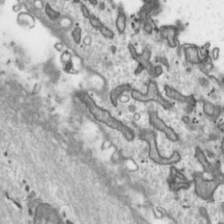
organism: Toxoplasma gondii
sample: Parasites in a vacuole inside a host cell